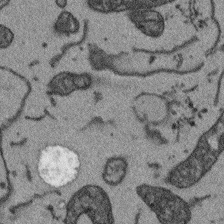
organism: Arabidopsis thaliana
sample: Root tip